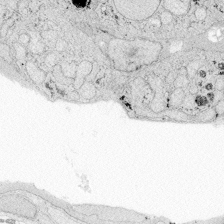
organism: Zebrafish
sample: Whole-Brain